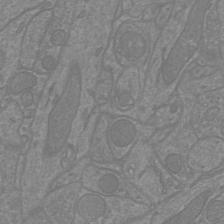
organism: Mouse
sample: Cortical neurons